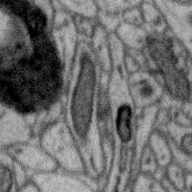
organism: Zebra finch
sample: Brain